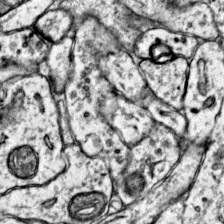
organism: Mouse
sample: Primary visual cortex